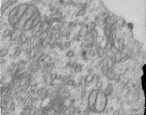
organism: Human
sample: Centriole in RPE cells